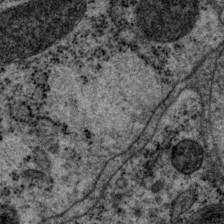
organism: P. pacificus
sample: Pharynx